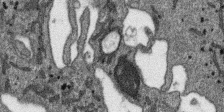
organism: Human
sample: Lung epithelial cells infected with SARS-CoV-2